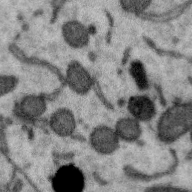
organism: Zebra finch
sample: Brain